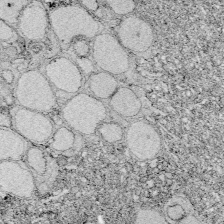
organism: Zebrafish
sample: Whole-Brain